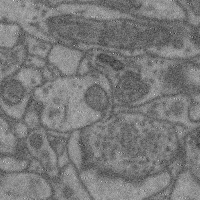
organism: Mouse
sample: Cerebral cortex